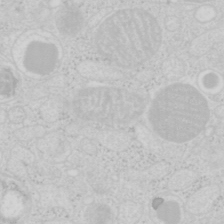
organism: Mouse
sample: Pancreas